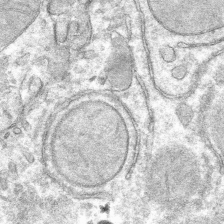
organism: Mouse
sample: Mouse hepatocytes